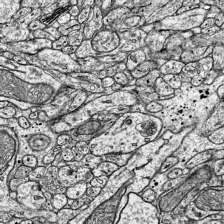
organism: Mouse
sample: Visual Cortex